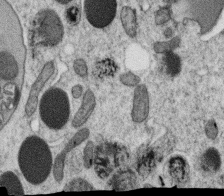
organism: C. elegans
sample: C. elegans oocyte; sperm cells